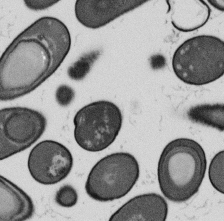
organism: B. subtilis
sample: Bacterial spore